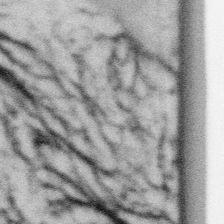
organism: Gemmata obscuriglobus